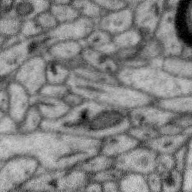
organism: Zebra finch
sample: Brain